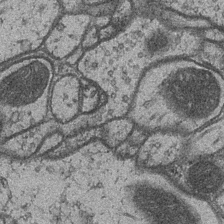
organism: Drosophila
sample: Optic medulla